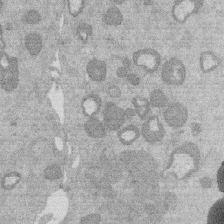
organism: Mouse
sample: Dividing mouse embryo 1 cell stage